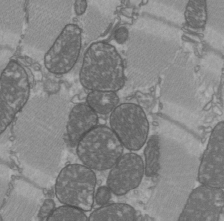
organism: C57BL Mouse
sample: Heart